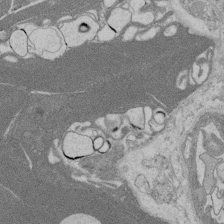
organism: Rat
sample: Salivary granule